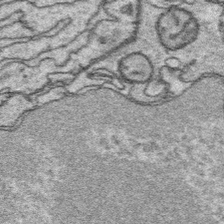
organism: Platynereis dumerilii